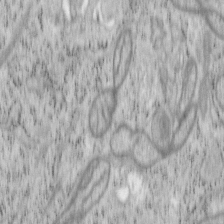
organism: Human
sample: HeLa cells